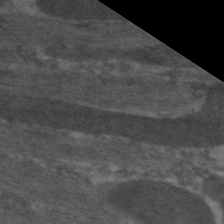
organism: C. elegans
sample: Pharynx